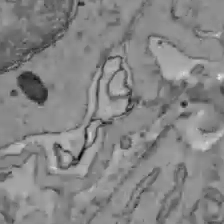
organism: C57BL Mouse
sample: Liver